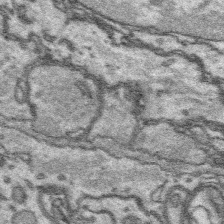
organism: Platynereis dumerilii